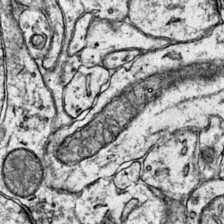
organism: Mouse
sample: Primary visual cortex